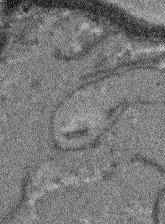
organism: Arabidopsis thaliana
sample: Root tip